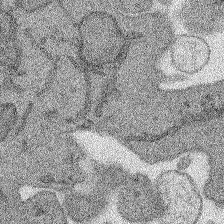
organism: Human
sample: HeLa cells